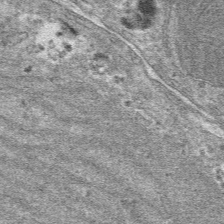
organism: Mouse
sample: Mouse hepatocytes